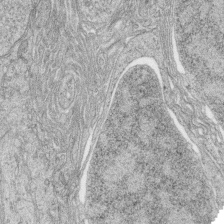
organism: Zebrafish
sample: synaptic ribbons in rod cells and cone cells